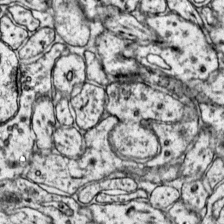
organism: Mouse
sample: Primary visual cortex